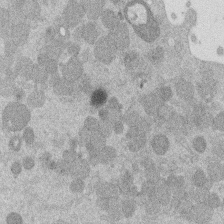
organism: Mouse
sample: Dividing mouse embryo 1 cell stage